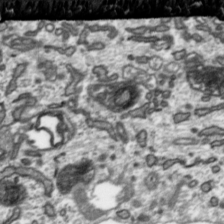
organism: Toxoplasma gondii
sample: Parasites in a vacuole inside a host cell